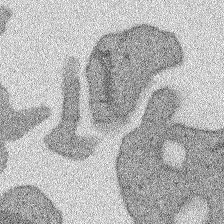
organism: Human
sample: HeLa cells